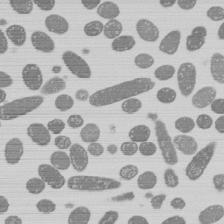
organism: E. coli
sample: Bacterial nucleoid